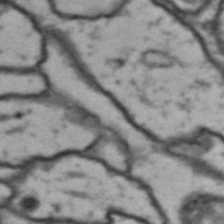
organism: Drosophila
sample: Brain